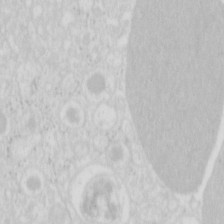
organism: Mouse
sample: Pancreas